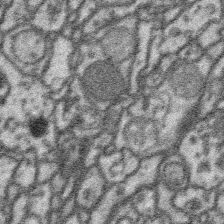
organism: Platynereis dumerilii